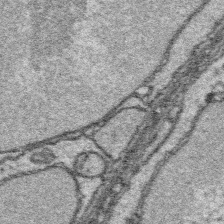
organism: Platynereis dumerilii